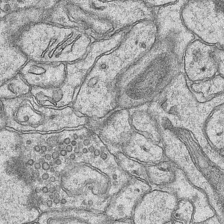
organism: Mouse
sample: CA1 Hippocampus